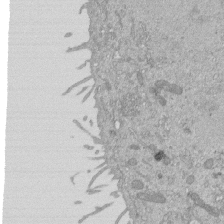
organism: Mouse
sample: ED-1 cell nuclei; centrioles